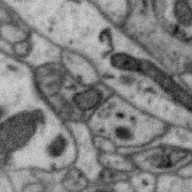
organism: Zebra finch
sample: Brain